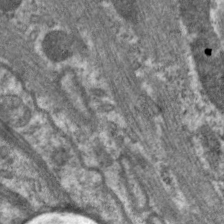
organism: C. elegans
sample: Pharynx